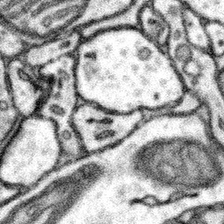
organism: Mouse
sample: Somatosensory cortex neuropil